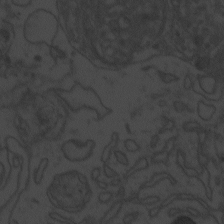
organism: Zebrafish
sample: Macrophage infected with Toxoplasma gondii